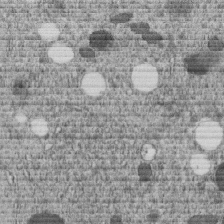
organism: C. elegans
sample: C. elegans embryo early stage